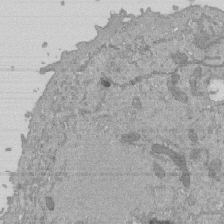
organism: Mouse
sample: ED-1 cell nuclei; centrioles